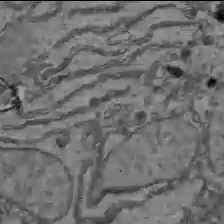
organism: C57BL Mouse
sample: Liver